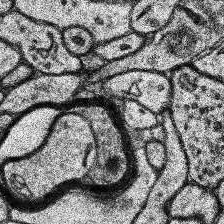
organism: Human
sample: Temporal Lobe